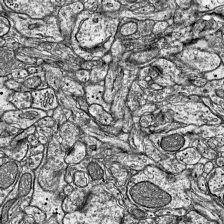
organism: Mouse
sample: Visual Cortex